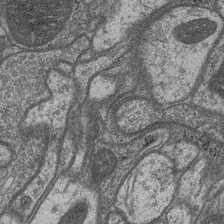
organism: Drosophila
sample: Optic medulla